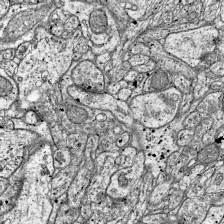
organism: Mouse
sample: Visual Cortex